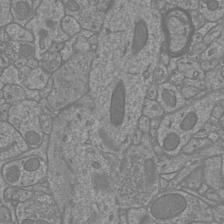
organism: Mouse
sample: Cortical neurons